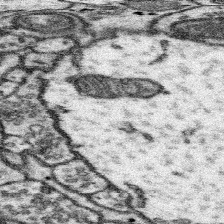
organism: Mouse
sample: Somatosensory cortex neuropil